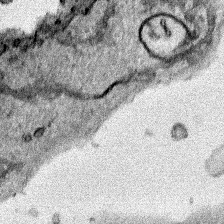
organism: Human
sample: Mitochondria in HCT116 cells